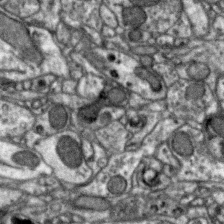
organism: Zebra finch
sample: Brain